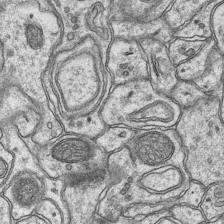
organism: Mouse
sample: CA1 Hippocampus